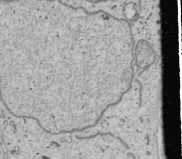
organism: Human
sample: Mitochondria in U2OS cells